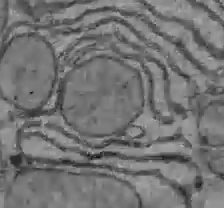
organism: C57BL Mouse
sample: Liver